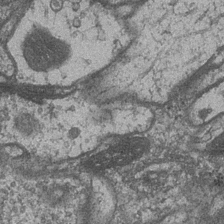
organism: Drosophila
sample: Optic medulla